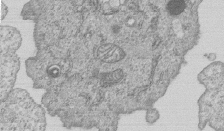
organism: Human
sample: MDA-MB-231 cells